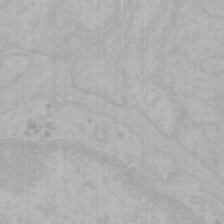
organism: Mouse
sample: Choroid plexus